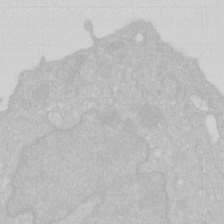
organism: Human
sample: HIV infected U937 cells